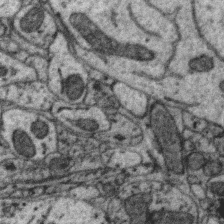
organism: Zebra finch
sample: Brain